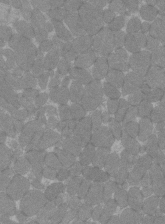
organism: C57BL Mouse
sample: Tibialis anterior muscle cell